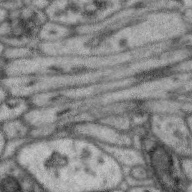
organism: Zebra finch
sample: Brain